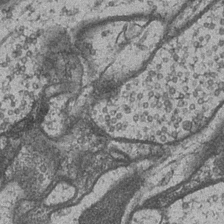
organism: Drosophila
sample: Optic medulla